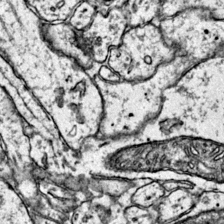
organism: Mouse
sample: Primary visual cortex